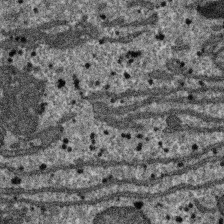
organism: Human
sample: Lung epithelial cells infected with SARS-CoV-2